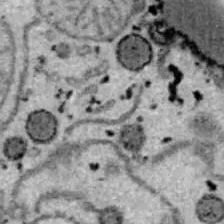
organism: Mouse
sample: Liver from an obese (ob/ob) mouse